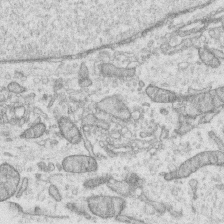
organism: Human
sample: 1205lu cells